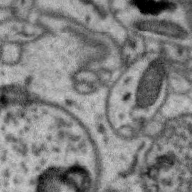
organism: Zebra finch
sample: Brain